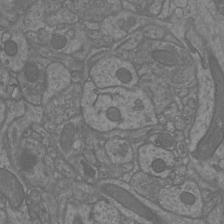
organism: Mouse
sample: Cortical neurons